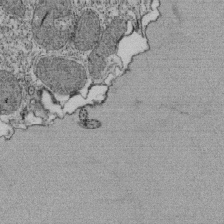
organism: Tetrahymena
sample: Cilia in tetrahymena